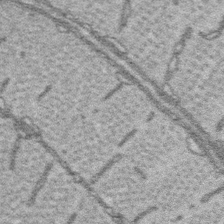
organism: Platynereis dumerilii